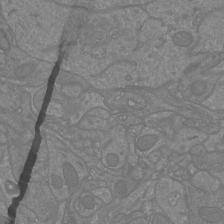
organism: Mouse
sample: Cortical neurons